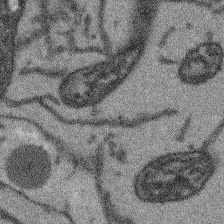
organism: Arabidopsis thaliana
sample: Root tip